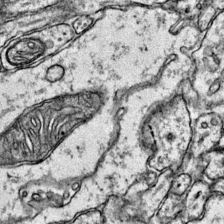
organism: Mouse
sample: Primary visual cortex